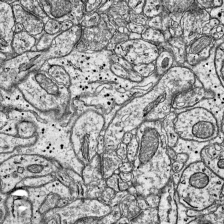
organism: Mouse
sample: Visual Cortex